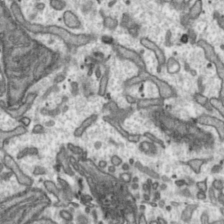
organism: Toxoplasma gondii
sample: Parasites in a vacuole inside a host cell